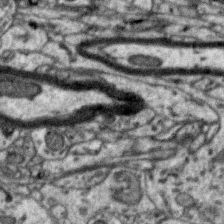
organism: Zebra finch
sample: Brain